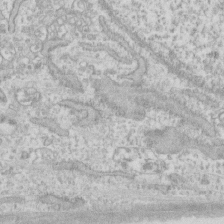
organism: Human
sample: Fibroblast cells